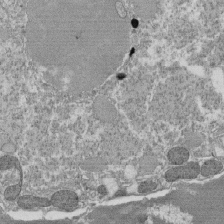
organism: Tetrahymena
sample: Cilia in tetrahymena